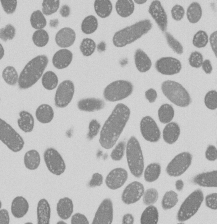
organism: E. coli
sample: Bacterial nucleoid